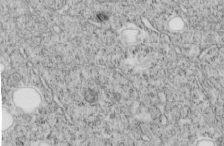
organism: C. elegans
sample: C. elegans embryo early stage